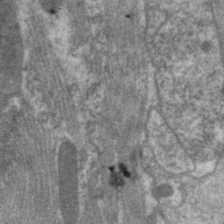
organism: C. elegans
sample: Pharynx